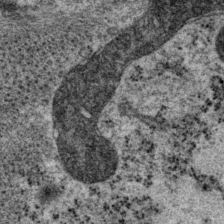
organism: P. pacificus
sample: Pharynx